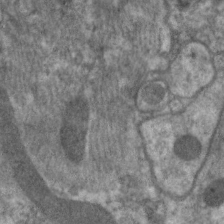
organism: C. elegans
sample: Pharynx